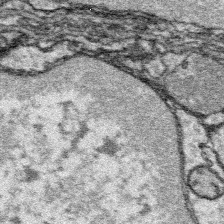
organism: Platynereis dumerilii